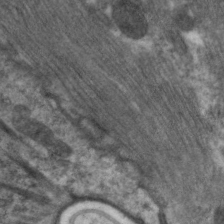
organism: C. elegans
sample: Pharynx